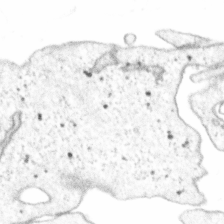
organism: Human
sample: HeLa cells